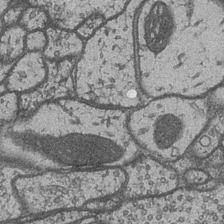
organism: Drosophila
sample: Optic medulla